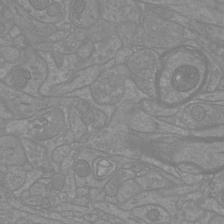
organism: Mouse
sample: Cortical neurons